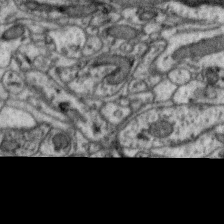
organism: Zebra finch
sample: Brain